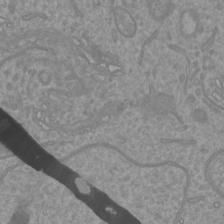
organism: Mouse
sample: Cortical neurons